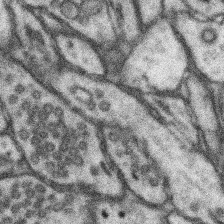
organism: Mouse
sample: Somatosensory cortex neuropil